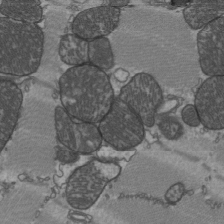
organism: C57BL Mouse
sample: Heart